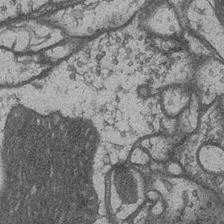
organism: Drosophila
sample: Optic medulla